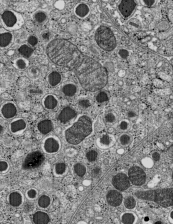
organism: C57BL Mouse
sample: Pancreatic islet